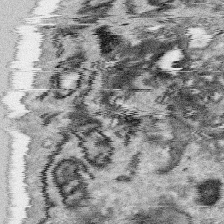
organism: Human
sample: HeLa cells